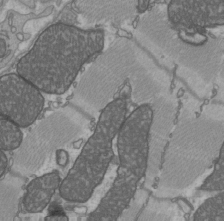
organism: C57BL Mouse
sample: Heart